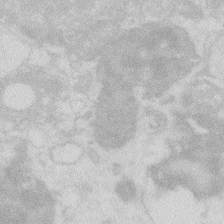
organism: Zebrafish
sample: Macrophage